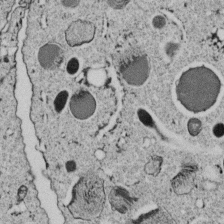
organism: C. elegans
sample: C. elegans embryo early stage